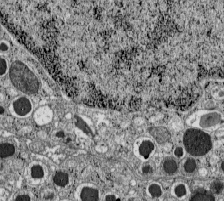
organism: C57BL Mouse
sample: Pancreatic islet